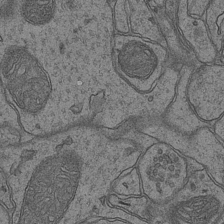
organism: Mouse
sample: CA1 Hippocampus